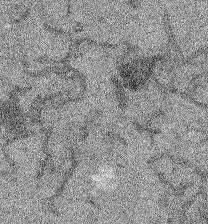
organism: Human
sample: HeLa cells